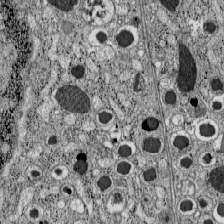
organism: C57BL Mouse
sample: Pancreatic islet